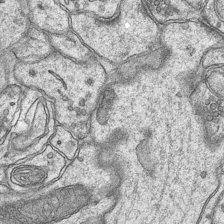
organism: Mouse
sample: CA1 Hippocampus